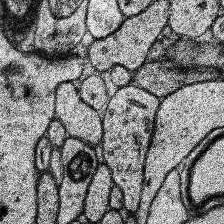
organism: Human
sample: Temporal Lobe